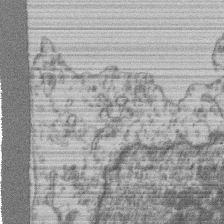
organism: Mouse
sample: T cell stromal cell synapse